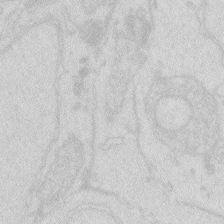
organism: Zebrafish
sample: Macrophage